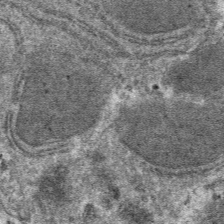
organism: Mouse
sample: Mouse hepatocytes